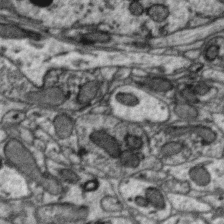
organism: Zebra finch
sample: Brain